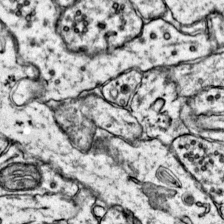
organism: Mouse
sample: Primary visual cortex